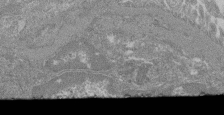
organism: Mouse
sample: Glomerulus